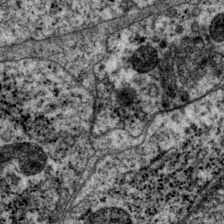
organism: P. pacificus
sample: Pharynx